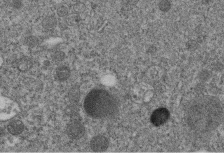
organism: C. elegans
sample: C. elegans embryo early stage